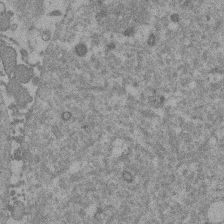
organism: Mouse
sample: Dividing mouse embryo 1 cell stage